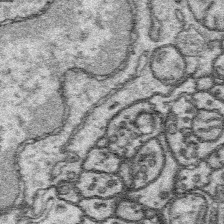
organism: Platynereis dumerilii